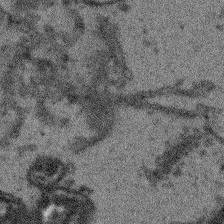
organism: Arabidopsis thaliana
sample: Root tip